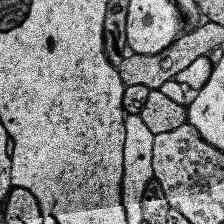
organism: Human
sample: Temporal Lobe